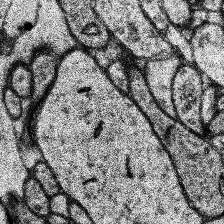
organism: Human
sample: Temporal Lobe